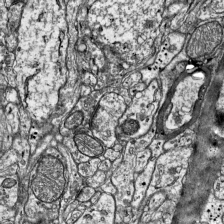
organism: Mouse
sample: Visual Cortex